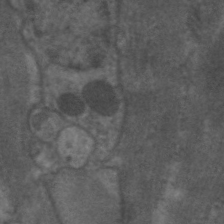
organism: C. elegans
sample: Pharynx